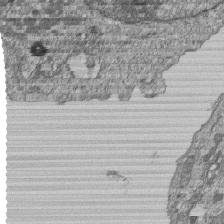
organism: Human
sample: MDA-MB-231 cells